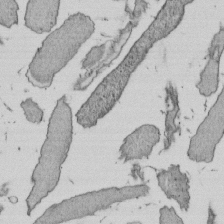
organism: E. coli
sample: Bacterial nucleoid